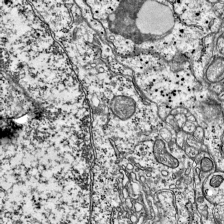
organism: Mouse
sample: Visual Cortex